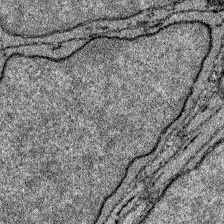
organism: Zebrafish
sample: Larval olfactory bulb